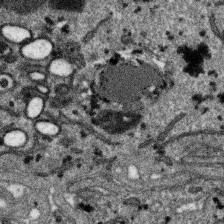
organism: Human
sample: Lung epithelial cells infected with SARS-CoV-2